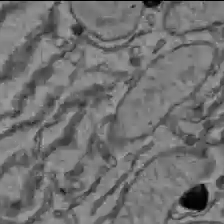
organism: C57BL Mouse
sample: Liver